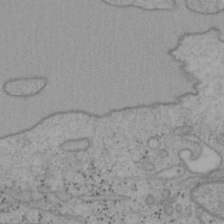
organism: Human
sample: HeLa cells